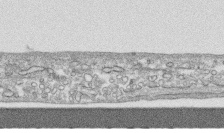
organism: Human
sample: CRL-1474